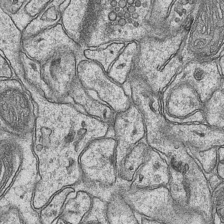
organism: Mouse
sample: CA1 Hippocampus